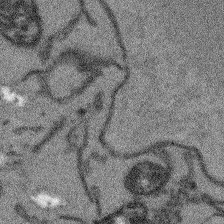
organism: Arabidopsis thaliana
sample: Root tip